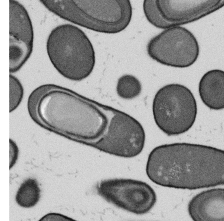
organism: B. subtilis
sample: Bacterial spore